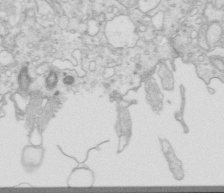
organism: Mouse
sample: Multiciliated cells